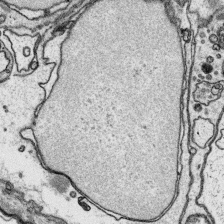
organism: Platynereis dumerilii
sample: Parapodia